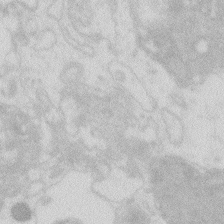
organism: Zebrafish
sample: Macrophage